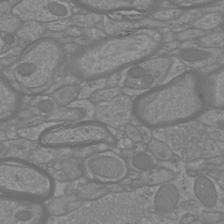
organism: Mouse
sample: Cortical neurons